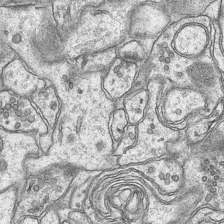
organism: Mouse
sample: CA1 Hippocampus